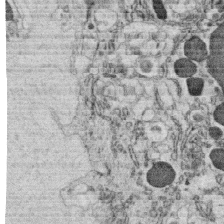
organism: C. elegans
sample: C. elegans oocyte; sperm cells